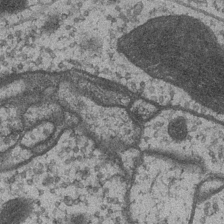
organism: Drosophila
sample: Optic medulla